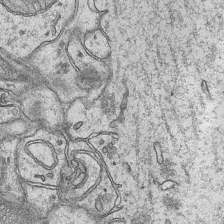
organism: Mouse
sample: CA1 Hippocampus